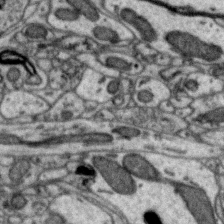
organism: Zebra finch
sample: Brain